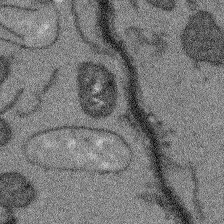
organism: Arabidopsis thaliana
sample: Root tip